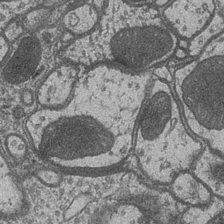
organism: Drosophila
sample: Optic medulla